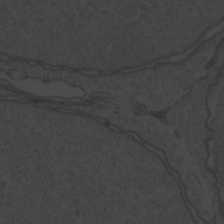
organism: Zebrafish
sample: Macrophage infected with Toxoplasma gondii